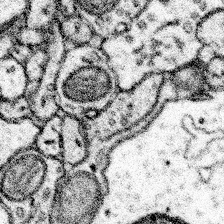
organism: Mouse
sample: Somatosensory cortex neuropil